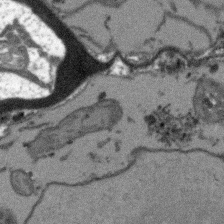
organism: Arabidopsis thaliana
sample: Root tip